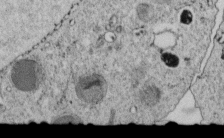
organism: C. elegans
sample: C. elegans embryo early stage